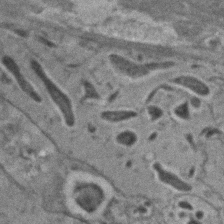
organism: C. elegans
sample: C. elegans embryo